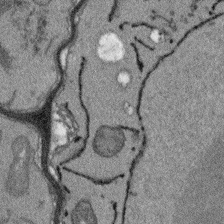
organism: Arabidopsis thaliana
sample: Root tip